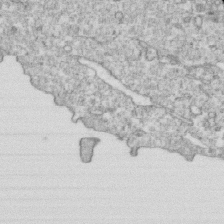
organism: Mouse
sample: Activated OT-1 CD8+ T cells